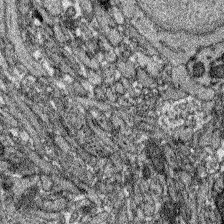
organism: Zebrafish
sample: Larval olfactory bulb